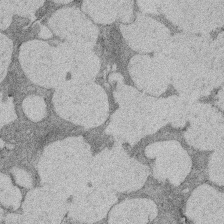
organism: Rat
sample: Salivary granule